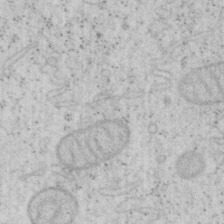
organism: Human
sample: HeLa cells